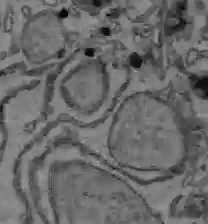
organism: C57BL Mouse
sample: Liver